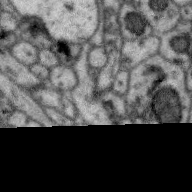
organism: Zebra finch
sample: Brain